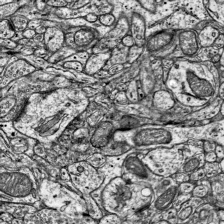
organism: Mouse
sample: Visual Cortex